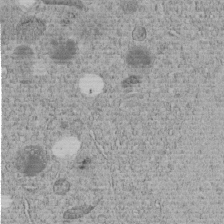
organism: C. elegans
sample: C. elegans embryo early stage